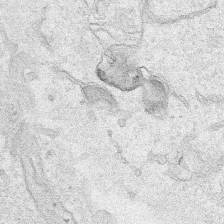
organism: Human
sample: Mitochondria in HCT116 cells